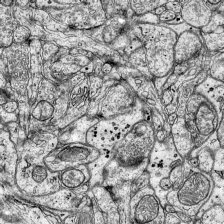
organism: Mouse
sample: Visual Cortex